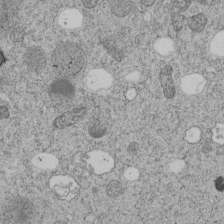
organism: C. elegans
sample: C. elegans embryo early stage